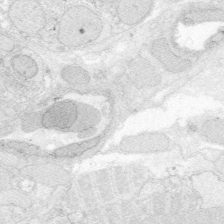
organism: Zebrafish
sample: Whole-Brain